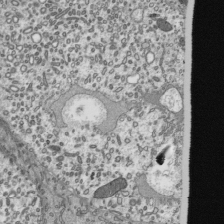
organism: Mouse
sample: Mouse epididymis efferent ductule cilia